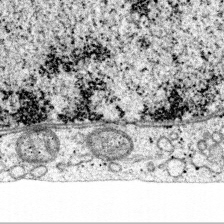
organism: Human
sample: HeLa cells